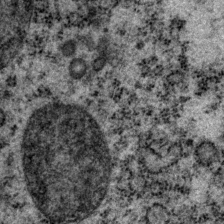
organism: P. pacificus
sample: Pharynx